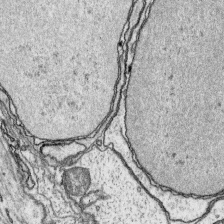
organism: Platynereis dumerilii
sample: Parapodia